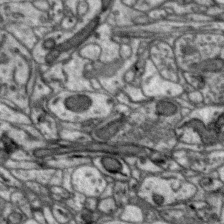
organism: Zebra finch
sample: Brain